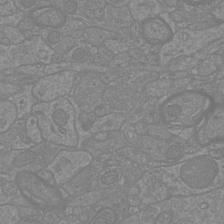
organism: Mouse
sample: Cortical neurons